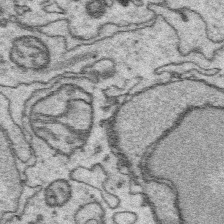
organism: Platynereis dumerilii